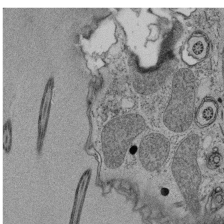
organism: Tetrahymena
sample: Cilia in tetrahymena